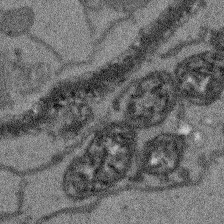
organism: Arabidopsis thaliana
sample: Root tip